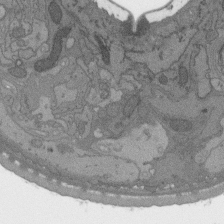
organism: C. elegans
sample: AFD neurons C. elegans